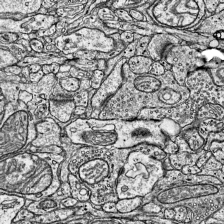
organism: Mouse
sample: Visual Cortex